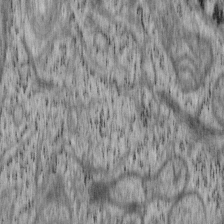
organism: Human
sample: HeLa cells